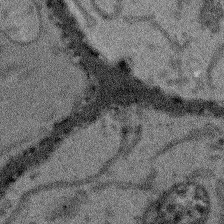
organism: Arabidopsis thaliana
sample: Root tip